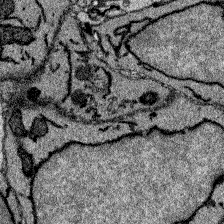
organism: Zebrafish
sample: Larval olfactory bulb